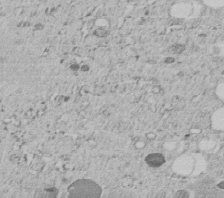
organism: C. elegans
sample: C. elegans embryo early stage